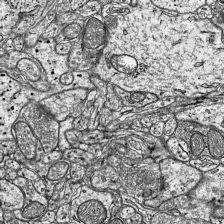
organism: Mouse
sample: Visual Cortex